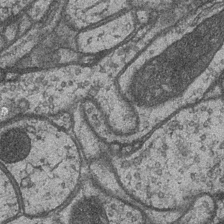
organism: Drosophila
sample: Optic medulla